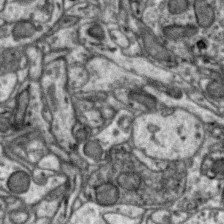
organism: Zebra finch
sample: Brain